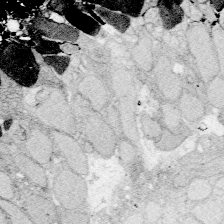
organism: Zebrafish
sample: Whole-Brain